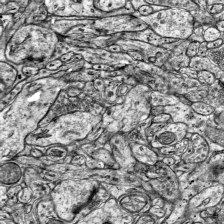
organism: Mouse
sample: Visual Cortex